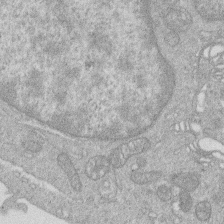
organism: Human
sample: Macrophage cells